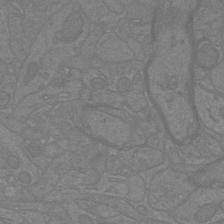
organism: Mouse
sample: Cortical neurons